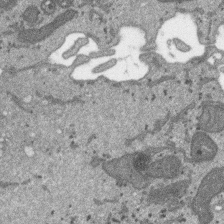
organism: Human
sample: Lung epithelial cells infected with SARS-CoV-2